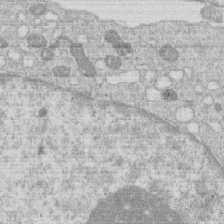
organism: Human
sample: Macrophage cells